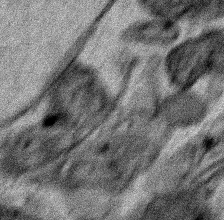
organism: Human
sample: Mitochondria in HCT116 cells